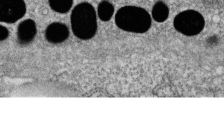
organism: Zebrafish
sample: Cilia; retinal pigment epithelium